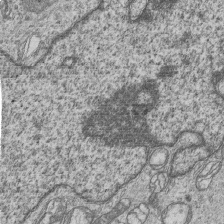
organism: Human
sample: MDA-MB-231 cells